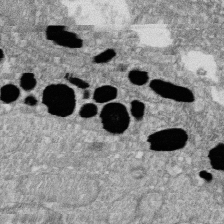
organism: Zebrafish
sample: Cilia; retinal pigment epithelium